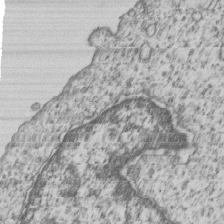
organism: Human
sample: MDA-MB-231 cells